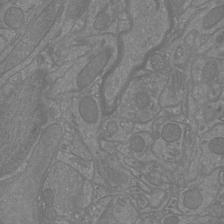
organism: Mouse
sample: Cortical neurons